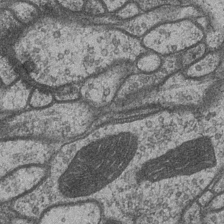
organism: Drosophila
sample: Optic medulla